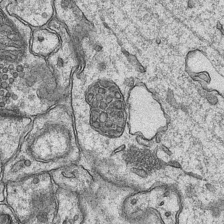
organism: Mouse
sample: CA1 Hippocampus